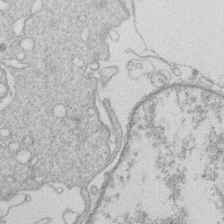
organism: Human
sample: Macrophage cells